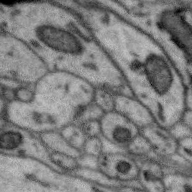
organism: Zebra finch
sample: Brain